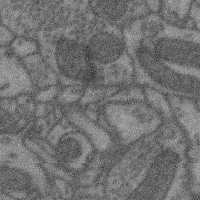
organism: Mouse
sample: Cerebral cortex